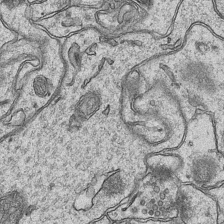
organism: Mouse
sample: CA1 Hippocampus